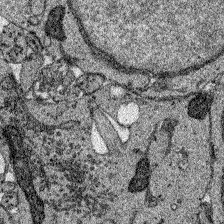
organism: Zebrafish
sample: Larval olfactory bulb